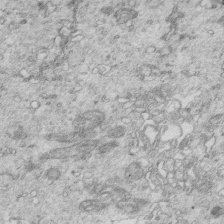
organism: Mouse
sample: Multiciliated cells